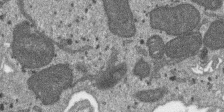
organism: Human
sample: Lung epithelial cells infected with SARS-CoV-2